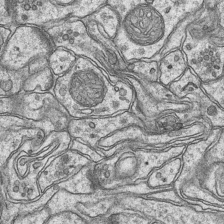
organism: Mouse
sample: CA1 Hippocampus